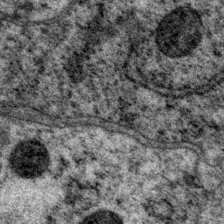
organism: P. pacificus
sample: Pharynx